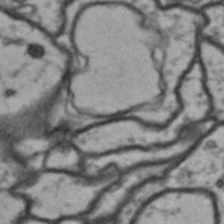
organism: Drosophila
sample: Brain